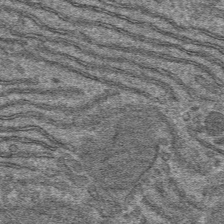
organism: Mouse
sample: Mouse hepatocytes